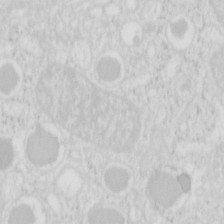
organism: Mouse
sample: Pancreas